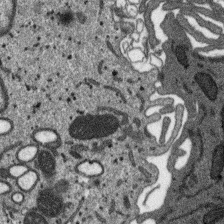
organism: Human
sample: Lung epithelial cells infected with SARS-CoV-2